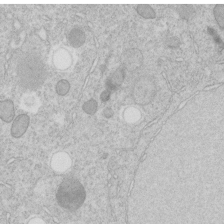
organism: C. elegans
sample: C. elegans embryo early stage